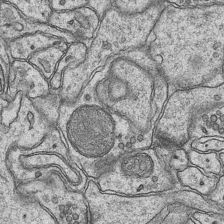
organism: Mouse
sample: CA1 Hippocampus